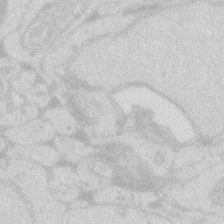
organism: Zebrafish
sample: Macrophage